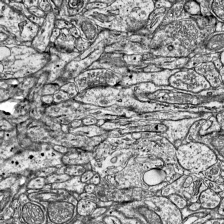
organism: Mouse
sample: Visual Cortex